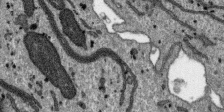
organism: Human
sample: Lung epithelial cells, uninfected (mock) control